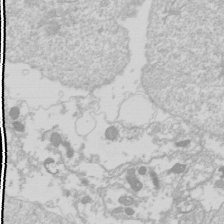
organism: Drosophila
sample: Cell division; meiosis; drosophila spermatocytes